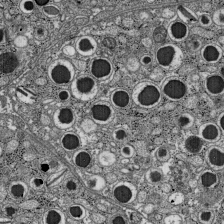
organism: C57BL Mouse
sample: Pancreatic islet